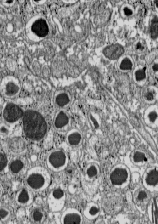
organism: C57BL Mouse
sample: Pancreatic islet